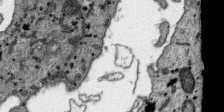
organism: Human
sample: Lung epithelial cells, uninfected (mock) control